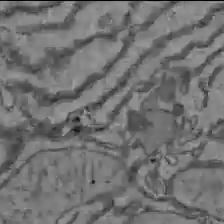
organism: C57BL Mouse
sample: Liver